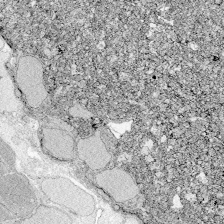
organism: Zebrafish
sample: Whole-Brain